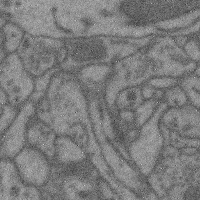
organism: Mouse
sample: Cerebral cortex